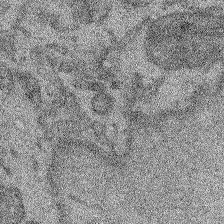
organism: Human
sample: HeLa cells